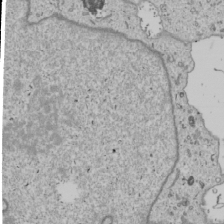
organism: Human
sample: Mitochondria in U2OS cells